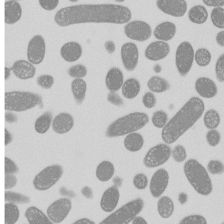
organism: E. coli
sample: Bacterial nucleoid